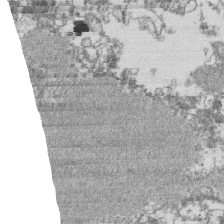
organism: Human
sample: HeLa cell HIV synapse